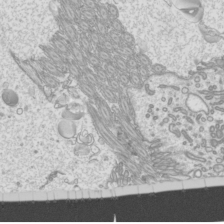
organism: Mouse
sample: Cilia; mouse epididymis